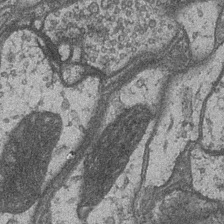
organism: Drosophila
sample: Optic medulla